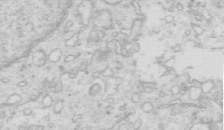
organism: Mouse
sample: Multiciliated cells